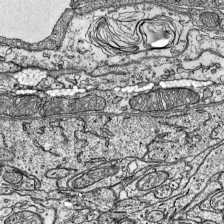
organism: Mouse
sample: Visual Cortex